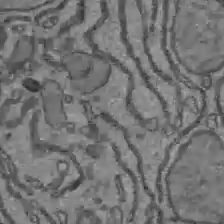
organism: C57BL Mouse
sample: Liver